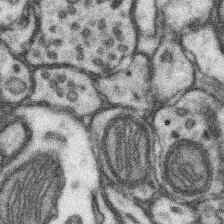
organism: Mouse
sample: Somatosensory cortex neuropil